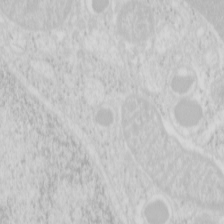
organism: Mouse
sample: Pancreas